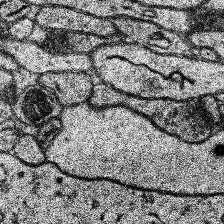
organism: Human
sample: Temporal Lobe